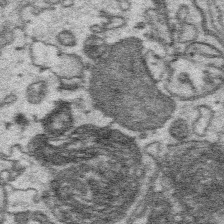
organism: Platynereis dumerilii